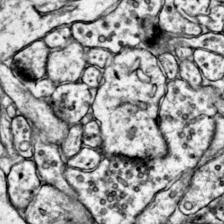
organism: Mouse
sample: Primary visual cortex